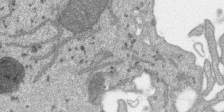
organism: Human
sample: Lung epithelial cells infected with SARS-CoV-2